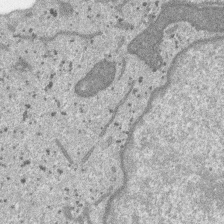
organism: Human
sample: Lung epithelial cells infected with SARS-CoV-2